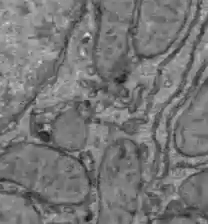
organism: C57BL Mouse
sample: Liver